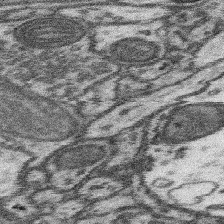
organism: Mouse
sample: Somatosensory cortex neuropil